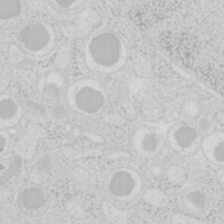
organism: Mouse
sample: Pancreas